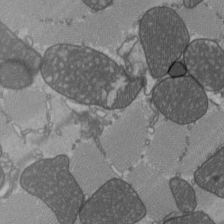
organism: C57BL Mouse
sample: Heart